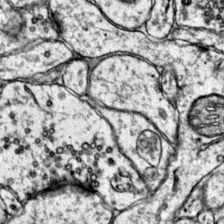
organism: Mouse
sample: Primary visual cortex